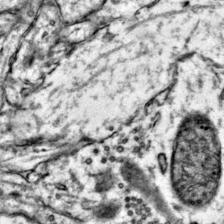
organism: Mouse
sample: Primary visual cortex